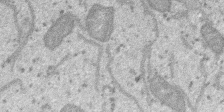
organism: Human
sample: Lung epithelial cells infected with SARS-CoV-2